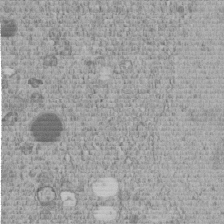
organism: C. elegans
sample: C. elegans embryo early stage